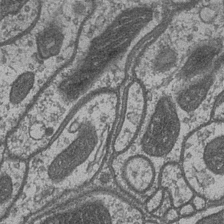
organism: Drosophila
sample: Optic medulla